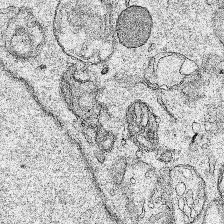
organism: Human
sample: Mitochondria in HCT116 cells